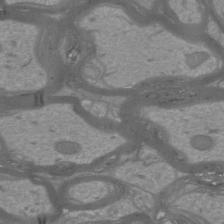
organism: Mouse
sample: Cortical neurons